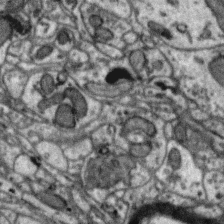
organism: Zebra finch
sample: Brain